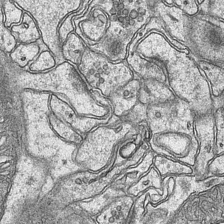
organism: Mouse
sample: CA1 Hippocampus